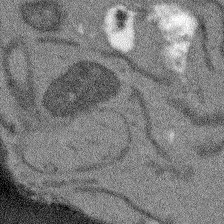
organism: Arabidopsis thaliana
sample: Root tip